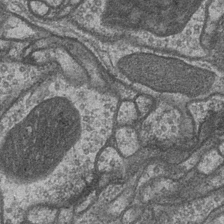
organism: Drosophila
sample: Optic medulla